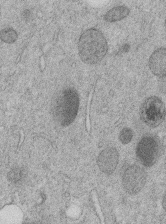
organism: C. elegans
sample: C. elegans embryo early stage